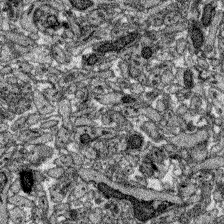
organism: Zebrafish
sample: Larval olfactory bulb